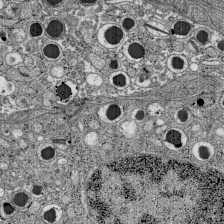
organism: C57BL Mouse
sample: Pancreatic islet